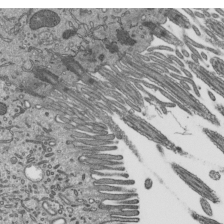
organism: Mouse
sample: Mouse epididymis efferent ductule cilia